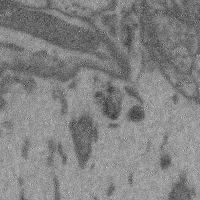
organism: Mouse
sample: Cerebral cortex